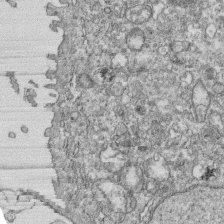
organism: Human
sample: HeLa cell HIV synapse